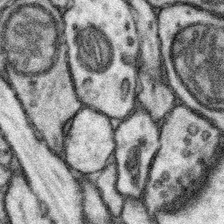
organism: Mouse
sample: Somatosensory cortex neuropil